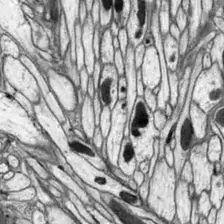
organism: Drosophila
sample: Optic lobe